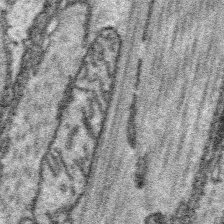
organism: Platynereis dumerilii